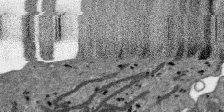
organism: Human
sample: Lung epithelial cells, uninfected (mock) control